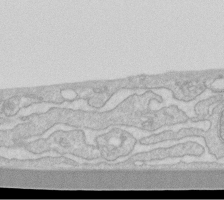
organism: Human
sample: Fibroblast cells